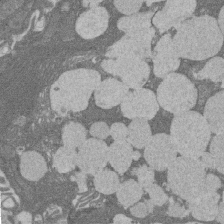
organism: Rat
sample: Salivary granule